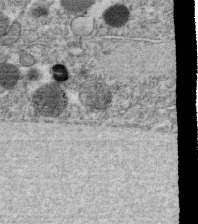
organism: C. elegans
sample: C. elegans oocyte; sperm cells